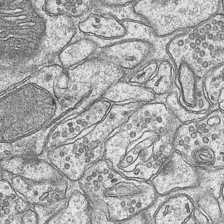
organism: Mouse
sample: CA1 Hippocampus